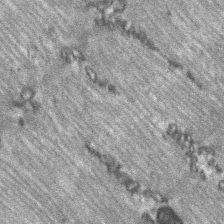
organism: C57BL Mouse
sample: Soleus